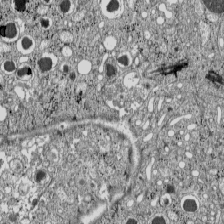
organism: C57BL Mouse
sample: Pancreatic islet